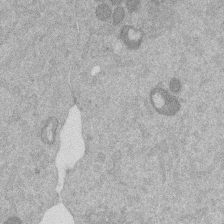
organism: Mouse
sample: Dividing mouse embryo 1 cell stage